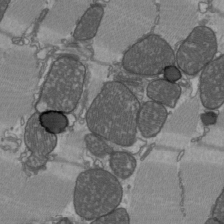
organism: C57BL Mouse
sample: Heart